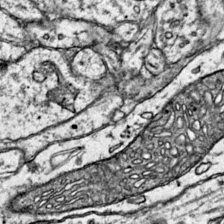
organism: Mouse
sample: Primary visual cortex